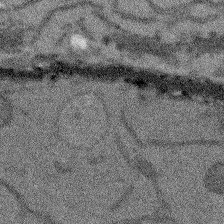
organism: Arabidopsis thaliana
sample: Root tip